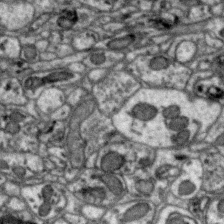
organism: Zebra finch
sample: Brain